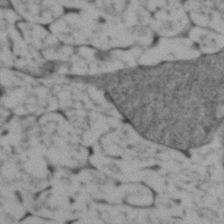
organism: Zebrafish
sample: Zebrafish embryo